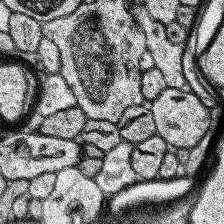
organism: Human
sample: Temporal Lobe